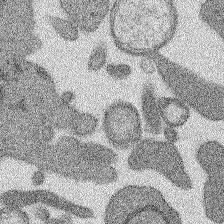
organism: Human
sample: HeLa cells